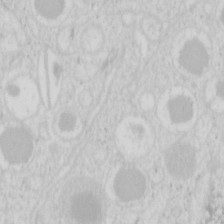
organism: Mouse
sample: Pancreas